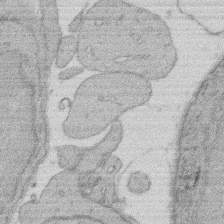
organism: Rat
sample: Salivary granule